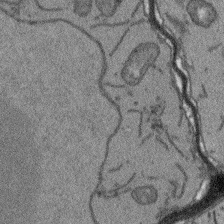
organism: Arabidopsis thaliana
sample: Root tip